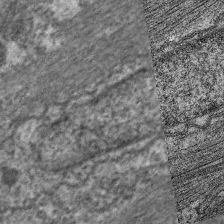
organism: C. elegans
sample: Pharynx